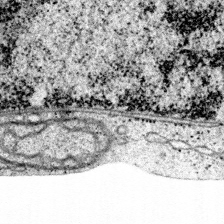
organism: Human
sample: HeLa cells